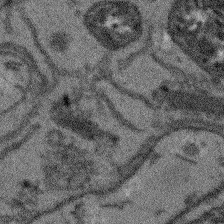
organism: Arabidopsis thaliana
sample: Root tip